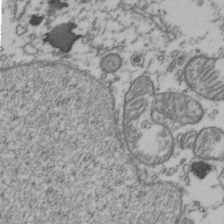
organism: Human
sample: Activated Jurkat CD4+ T cells